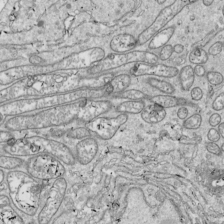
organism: Drosophila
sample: Cell division; meiosis; drosophila spermatocytes